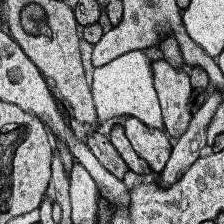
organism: Human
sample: Temporal Lobe